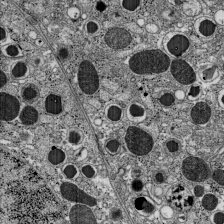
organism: C57BL Mouse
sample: Pancreatic islet